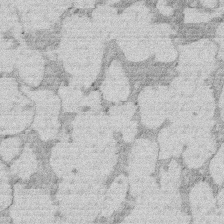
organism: Rat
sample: Salivary granule